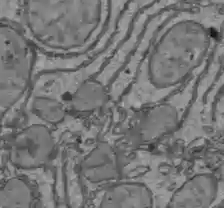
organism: C57BL Mouse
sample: Liver